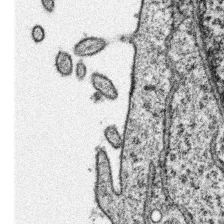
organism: Human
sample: HeLa cells